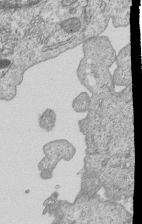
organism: Human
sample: MDA-MB-231 cells